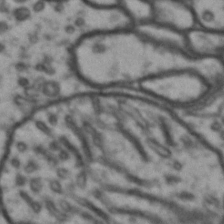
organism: Drosophila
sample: Brain